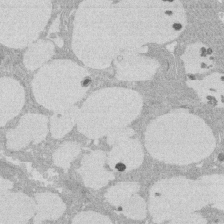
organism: Rat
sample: Salivary granule